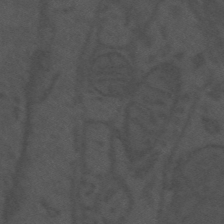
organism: Mouse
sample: Suprachiasmatic nucleus